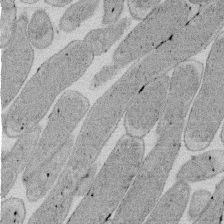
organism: E. coli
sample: Bacterial nucleoid